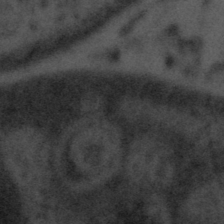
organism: Tuwongella immobilis